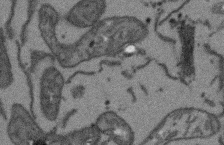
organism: Arabidopsis thaliana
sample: Root tip